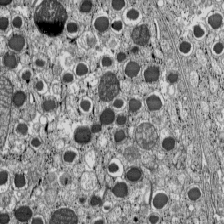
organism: C57BL Mouse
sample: Pancreatic islet